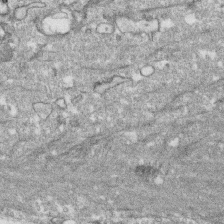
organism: Human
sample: CRL-1474